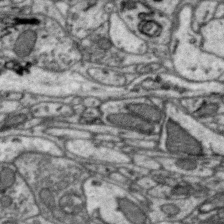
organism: Zebra finch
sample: Brain